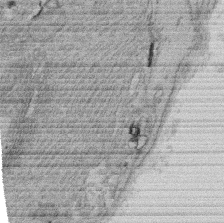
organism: Rat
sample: Salivary granule